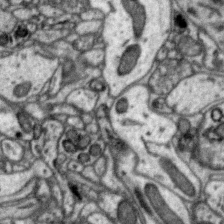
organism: Zebra finch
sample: Brain